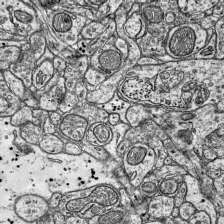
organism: Mouse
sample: Visual Cortex